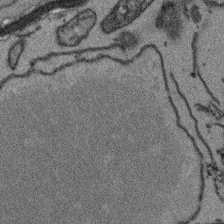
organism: Arabidopsis thaliana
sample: Root tip